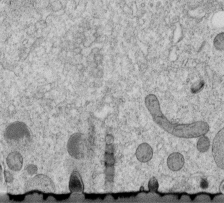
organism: C. elegans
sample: C. elegans embryo early stage